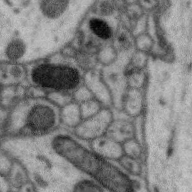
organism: Zebra finch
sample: Brain